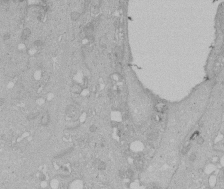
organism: Human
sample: Melanocyte Keratinocyte synapse skin construct